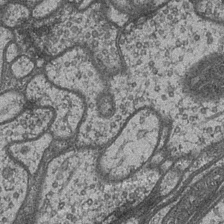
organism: Drosophila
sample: Optic medulla